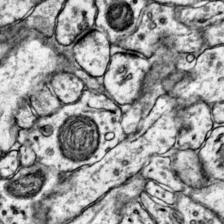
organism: Mouse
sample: Primary visual cortex